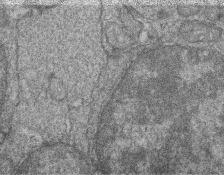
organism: Zebrafish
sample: Cilia; retinal pigment epithelium